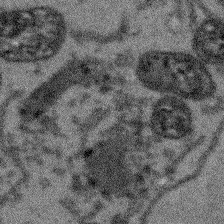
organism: Arabidopsis thaliana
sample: Root tip